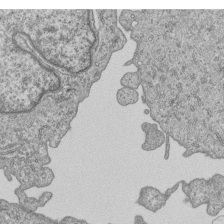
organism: Human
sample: MDA-MB-231 cells